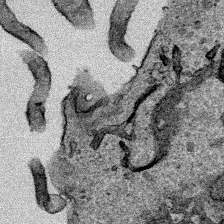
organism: Human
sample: Mitochondria in HCT116 cells